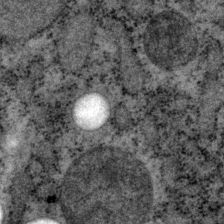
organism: P. pacificus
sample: Pharynx